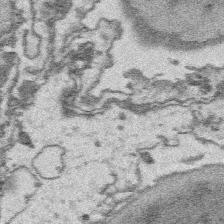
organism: Platynereis dumerilii